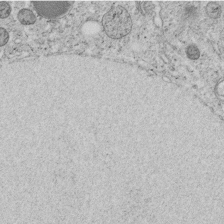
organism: C. elegans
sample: C. elegans embryo early stage